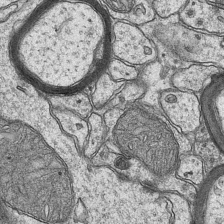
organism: Mouse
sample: CA1 Hippocampus